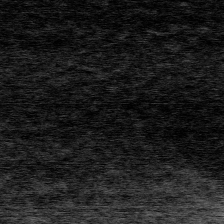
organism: Human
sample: HeLa cells